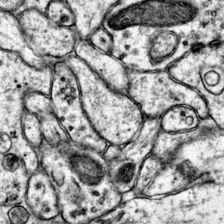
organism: Mouse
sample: Primary visual cortex